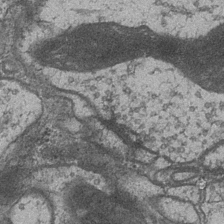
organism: Drosophila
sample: Optic medulla